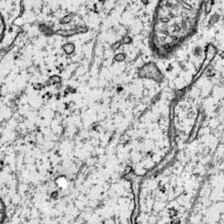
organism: Mouse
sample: Primary visual cortex